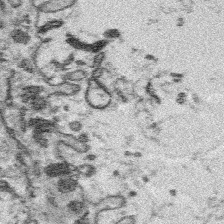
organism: Platynereis dumerilii